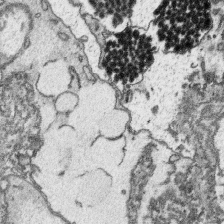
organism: Platynereis dumerilii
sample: Parapodia